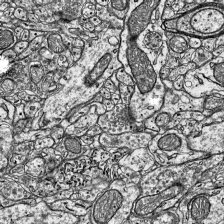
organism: Mouse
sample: Visual Cortex